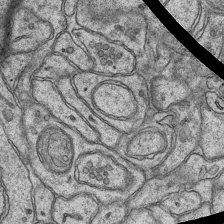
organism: Mouse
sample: CA1 Hippocampus